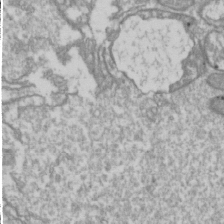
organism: Drosophila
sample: Cell division; meiosis; drosophila spermatocytes